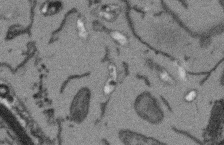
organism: Arabidopsis thaliana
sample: Root tip